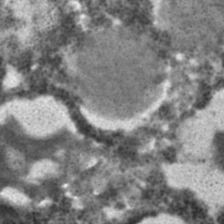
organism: C. elegans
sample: C. elegans embryo